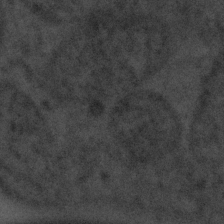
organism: Tuwongella immobilis